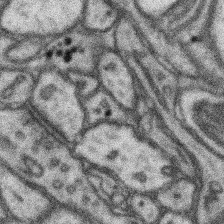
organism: Mouse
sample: Somatosensory cortex neuropil